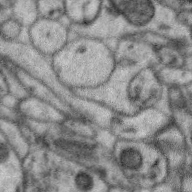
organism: Zebra finch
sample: Brain